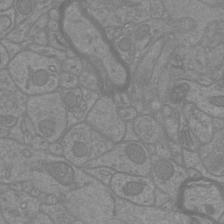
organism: Mouse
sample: Cortical neurons